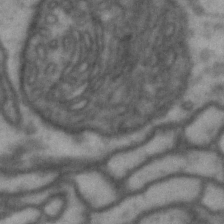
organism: Drosophila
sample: Brain